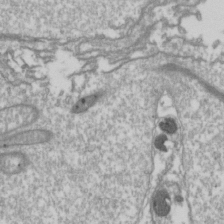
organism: Drosophila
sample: Cell division; meiosis; drosophila spermatocytes